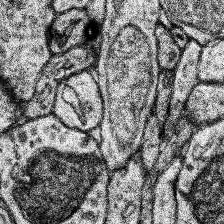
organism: Human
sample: Temporal Lobe